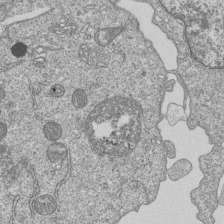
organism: Human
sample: MDA-MB-231 cells